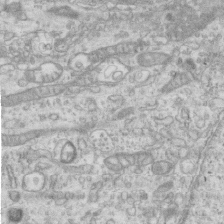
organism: Mouse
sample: Centriole in ependymal cells